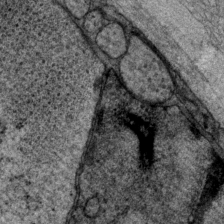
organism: P. pacificus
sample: Pharynx